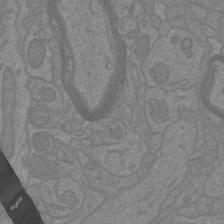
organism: Mouse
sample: Cortical neurons